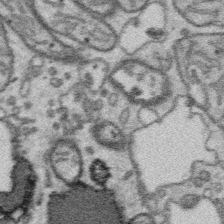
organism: Platynereis dumerilii